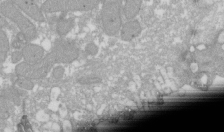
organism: Xenopus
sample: Cilia; centrioles in frog embryo cells